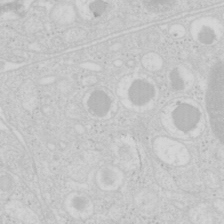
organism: Mouse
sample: Pancreas